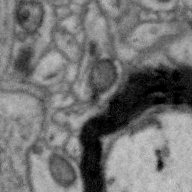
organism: Zebra finch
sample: Brain